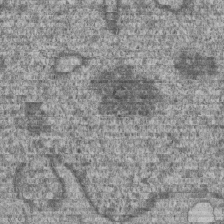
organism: Human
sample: MDA-MB-231 cells